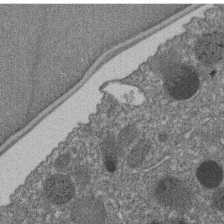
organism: C. elegans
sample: C. elegans embryo early stage